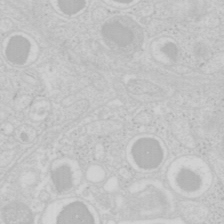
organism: Mouse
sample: Pancreas